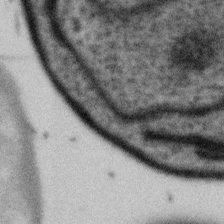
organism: Gemmata obscuriglobus